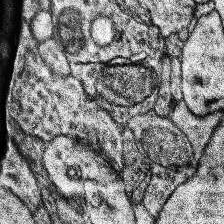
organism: Human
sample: Temporal Lobe